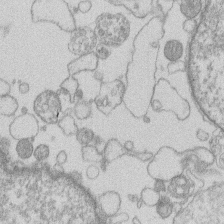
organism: Human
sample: Macrophage cells